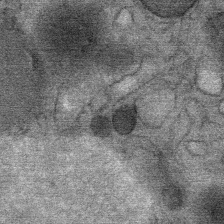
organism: Mouse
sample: Mouse Salivary gland